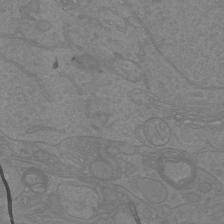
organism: Mouse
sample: Cortical neurons